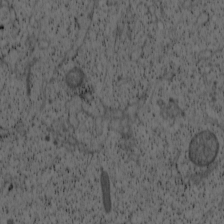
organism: African green monkey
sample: COS-7 cells